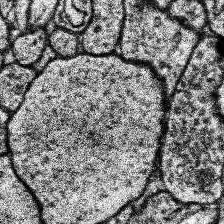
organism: Human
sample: Temporal Lobe